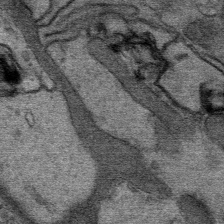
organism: Mouse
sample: Mouse Salivary gland